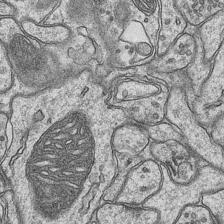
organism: Mouse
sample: CA1 Hippocampus